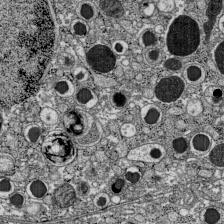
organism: C57BL Mouse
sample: Pancreatic islet